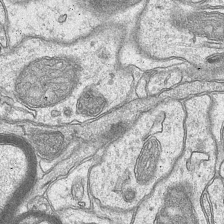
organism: Mouse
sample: CA1 Hippocampus